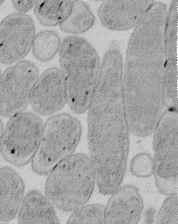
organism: E. coli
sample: Bacterial nucleoid